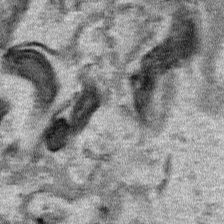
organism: Human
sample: Mitochondria in HCT116 cells